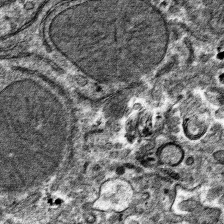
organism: Mouse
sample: Mouse hepatocytes